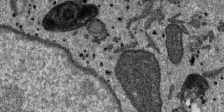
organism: Human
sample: Lung epithelial cells, uninfected (mock) control